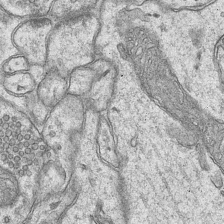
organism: Mouse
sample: CA1 Hippocampus